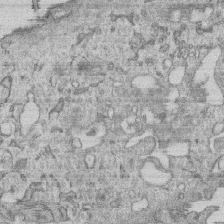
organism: Human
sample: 1205lu cells